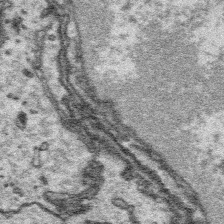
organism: Platynereis dumerilii